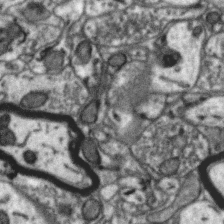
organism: Zebra finch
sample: Brain